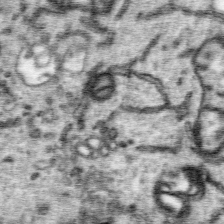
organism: Human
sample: HeLa cells